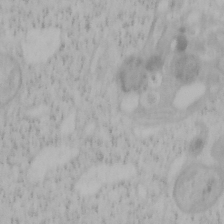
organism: Mouse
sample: OT-I killer T cells with ID8 ovarian cancer cells